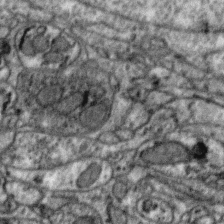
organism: Zebra finch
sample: Brain